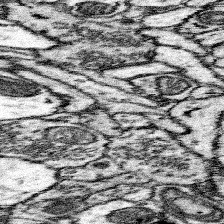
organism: Mouse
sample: Somatosensory cortex neuropil